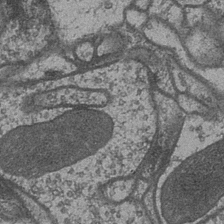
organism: Drosophila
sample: Optic medulla